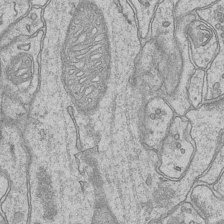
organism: Mouse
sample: CA1 Hippocampus